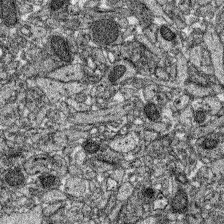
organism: Zebrafish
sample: Larval olfactory bulb